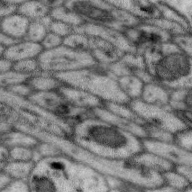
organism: Zebra finch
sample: Brain